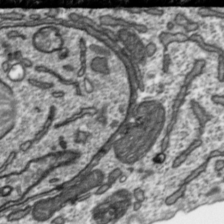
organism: Toxoplasma gondii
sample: Parasites in a vacuole inside a host cell